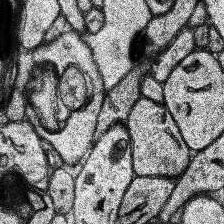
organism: Human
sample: Temporal Lobe